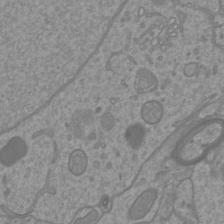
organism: Mouse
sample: Cortical neurons